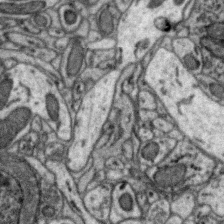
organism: Zebra finch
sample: Brain